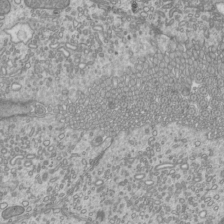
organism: Mouse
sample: Cilia; mouse epididymis